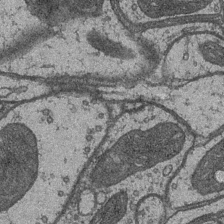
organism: Drosophila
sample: Optic medulla